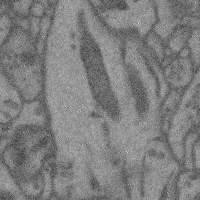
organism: Mouse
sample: Cerebral cortex